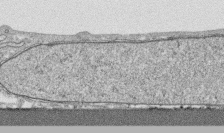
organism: Human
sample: CRL-1474